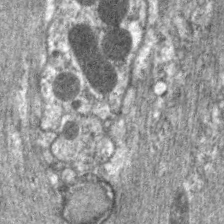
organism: C. elegans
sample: Pharynx